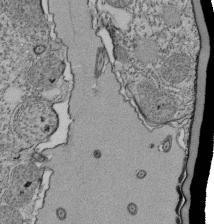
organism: Tetrahymena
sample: Cilia in tetrahymena